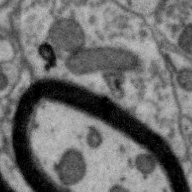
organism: Zebra finch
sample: Brain